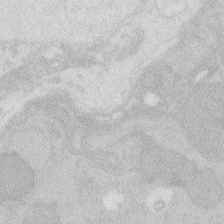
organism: Zebrafish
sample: Macrophage